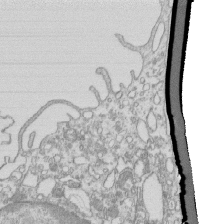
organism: Mouse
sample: Macrophages